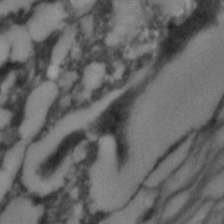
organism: C. elegans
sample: C. elegans embryo